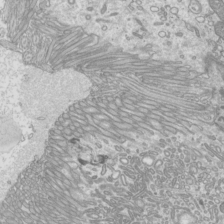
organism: Mouse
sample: Cilia; mouse epididymis